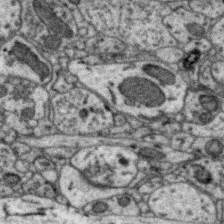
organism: Zebra finch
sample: Brain